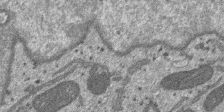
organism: Human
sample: Lung epithelial cells infected with SARS-CoV-2